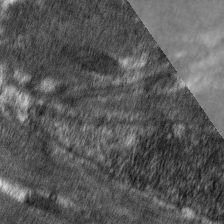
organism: C. elegans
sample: Pharynx